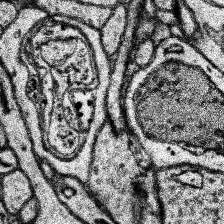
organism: Human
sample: Temporal Lobe